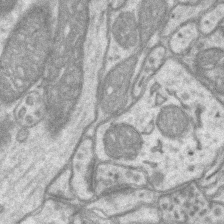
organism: Mouse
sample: CA1 Hippocampus